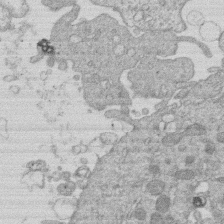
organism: Human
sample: Macrophage cells